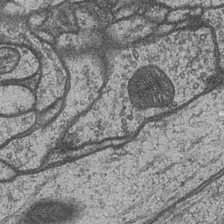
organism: Drosophila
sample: Optic medulla